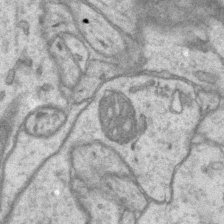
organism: Mouse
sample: CA1 Hippocampus